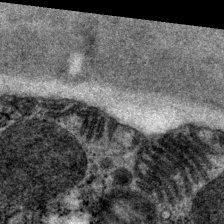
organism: P. pacificus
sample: Pharynx